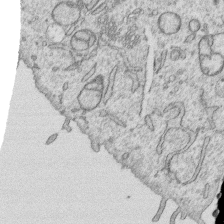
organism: Human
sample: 1205lu cells